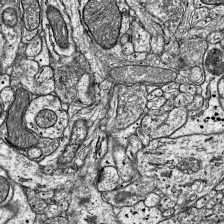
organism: Mouse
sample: Visual Cortex